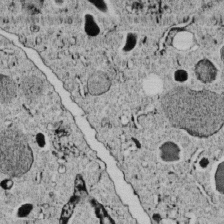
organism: C. elegans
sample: C. elegans embryo early stage